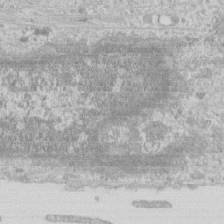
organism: Human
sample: CRL-1474